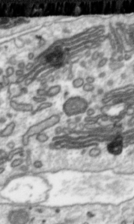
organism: Toxoplasma gondii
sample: Parasites in a vacuole inside a host cell